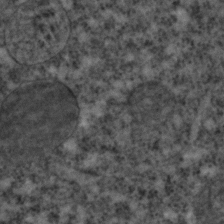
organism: C. elegans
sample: C. elegans embryo